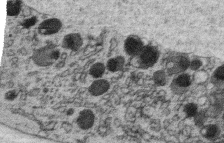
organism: C. elegans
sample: C. elegans oocyte; sperm cells